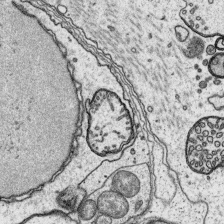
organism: Platynereis dumerilii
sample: Parapodia